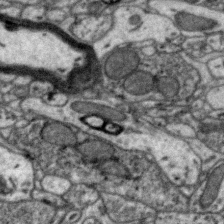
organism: Zebra finch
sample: Brain